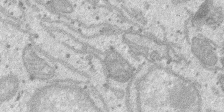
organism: Human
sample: Lung epithelial cells infected with SARS-CoV-2